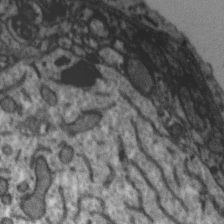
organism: Zebra finch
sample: Brain